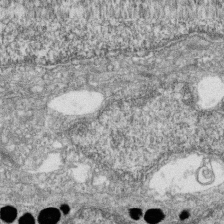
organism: Zebrafish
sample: Cilia; retinal pigment epithelium